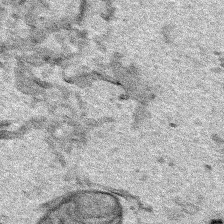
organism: Human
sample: Mitochondria in HCT116 cells